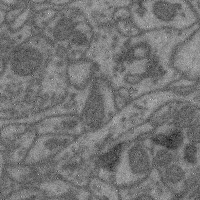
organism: Mouse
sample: Cerebral cortex